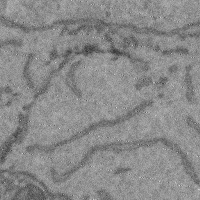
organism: Mouse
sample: Cerebral cortex